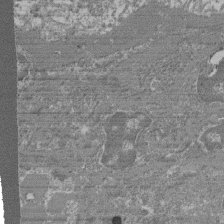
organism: Mouse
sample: Glomerulus